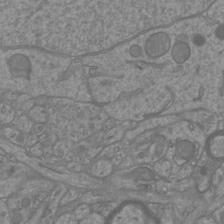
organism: Mouse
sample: Cortical neurons